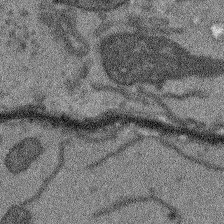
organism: Arabidopsis thaliana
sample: Root tip